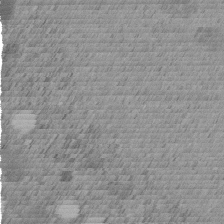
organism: C. elegans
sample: C. elegans embryo early stage